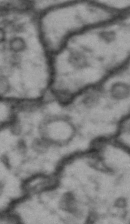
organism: Drosophila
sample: Brain